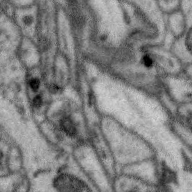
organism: Zebra finch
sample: Brain